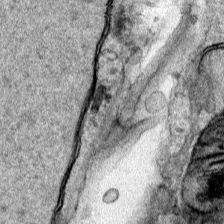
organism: Human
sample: Mitochondria in HCT116 cells